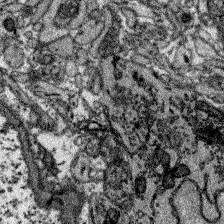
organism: Zebrafish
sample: Larval olfactory bulb